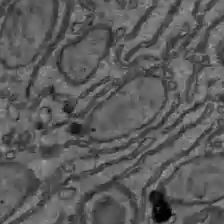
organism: C57BL Mouse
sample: Liver